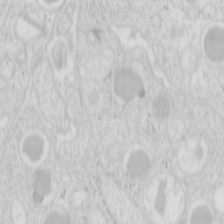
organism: Mouse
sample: Pancreas